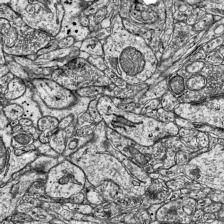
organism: Mouse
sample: Visual Cortex